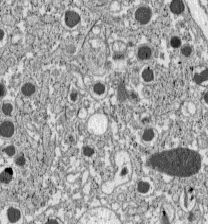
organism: C57BL Mouse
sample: Pancreatic islet